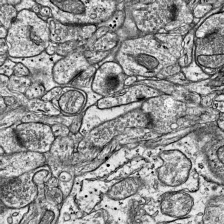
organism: Mouse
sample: Visual Cortex